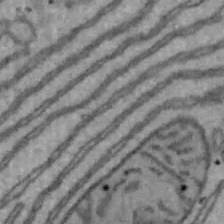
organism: Mouse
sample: Liver